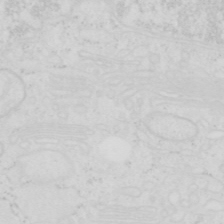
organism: Human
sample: SUM-159 cell